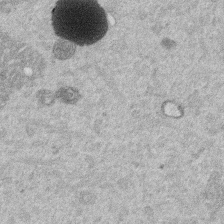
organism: Mouse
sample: Dividing mouse embryo 1 cell stage